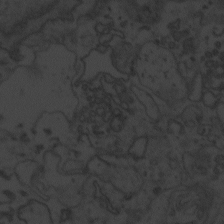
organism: Zebrafish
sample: Macrophage infected with Toxoplasma gondii